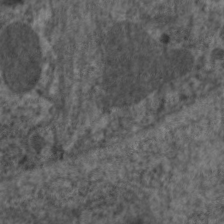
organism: C. elegans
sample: Pharynx